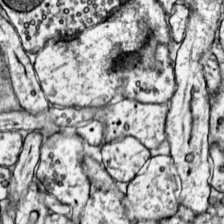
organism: Mouse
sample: Primary visual cortex